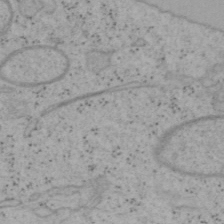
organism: Human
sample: HeLa cells